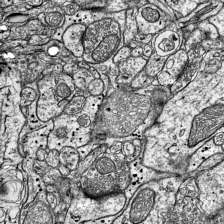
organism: Mouse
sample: Visual Cortex